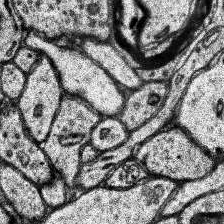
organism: Human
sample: Temporal Lobe